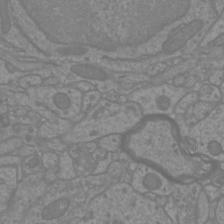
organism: Mouse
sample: Cortical neurons